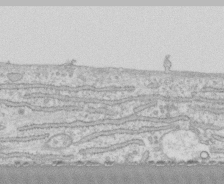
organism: Human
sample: CRL-1474